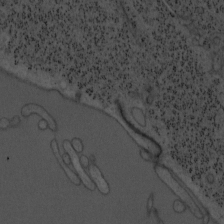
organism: Mouse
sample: OT-I killer T cells with ID8 ovarian cancer cells